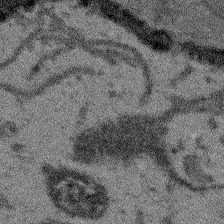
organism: Arabidopsis thaliana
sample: Root tip